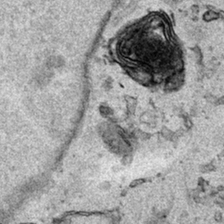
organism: Human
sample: Mitochondria in HCT116 cells